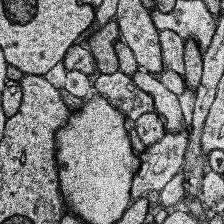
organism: Human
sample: Temporal Lobe